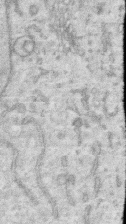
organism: Human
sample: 1205lu cells